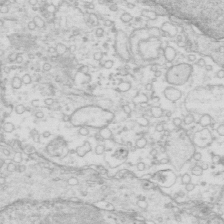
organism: Mouse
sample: Multiciliated cells